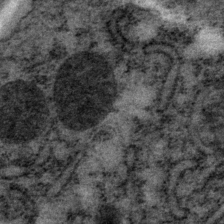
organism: P. pacificus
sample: Pharynx